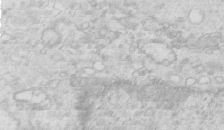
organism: Mouse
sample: Multiciliated cells